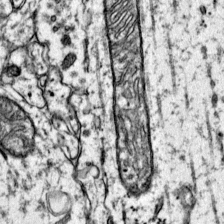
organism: Mouse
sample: Primary visual cortex